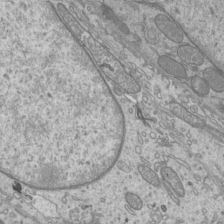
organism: Mouse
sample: Cilia; mouse epididymis